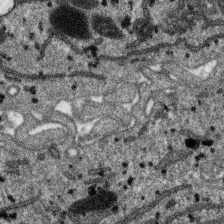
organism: Human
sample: Lung epithelial cells infected with SARS-CoV-2